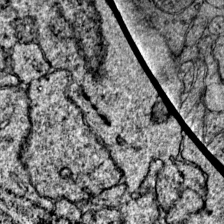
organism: Mouse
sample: Primary visual cortex